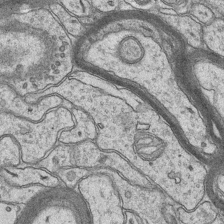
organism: Mouse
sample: CA1 Hippocampus